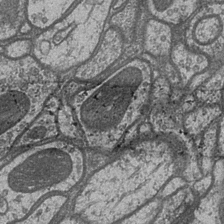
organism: Drosophila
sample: Optic medulla